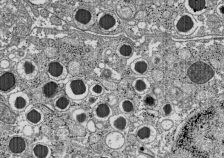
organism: C57BL Mouse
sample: Pancreatic islet